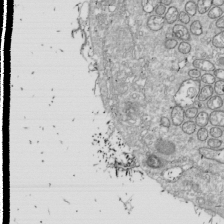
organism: Drosophila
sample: Cell division; meiosis; drosophila spermatocytes